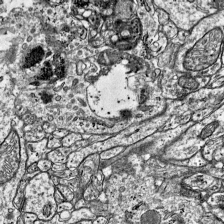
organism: Mouse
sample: Visual Cortex